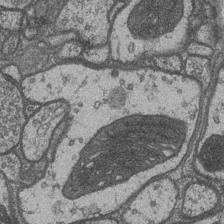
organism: Drosophila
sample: Optic medulla